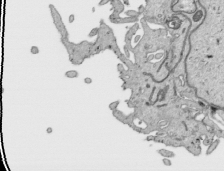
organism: Human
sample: Mitochondria in HCT116 cells